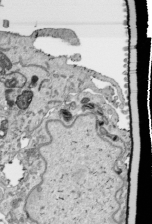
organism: Human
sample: Mitochondria in HCT116 cells